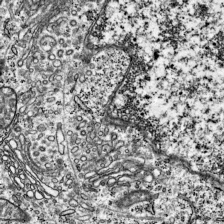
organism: Mouse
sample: Visual Cortex